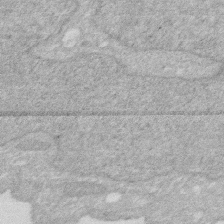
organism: Human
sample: HIV infected U937 cells